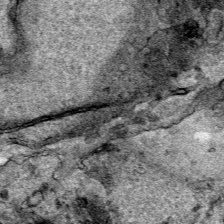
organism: Human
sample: Mitochondria in HCT116 cells